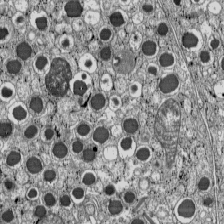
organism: C57BL Mouse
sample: Pancreatic islet